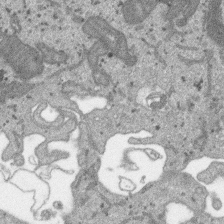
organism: Human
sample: Lung epithelial cells infected with SARS-CoV-2